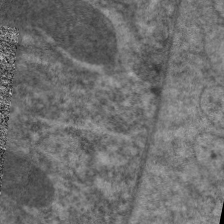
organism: C. elegans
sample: Pharynx